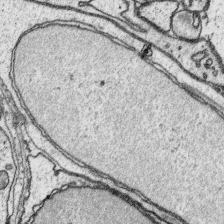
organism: Platynereis dumerilii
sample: Parapodia